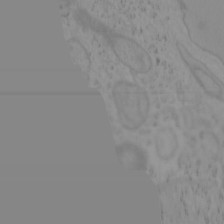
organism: Human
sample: HeLa cells